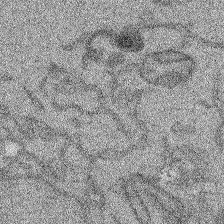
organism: Human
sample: HeLa cells